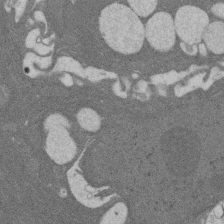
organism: Rat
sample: Salivary granule